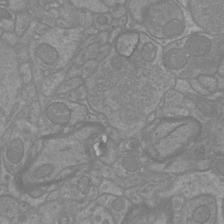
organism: Mouse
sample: Cortical neurons